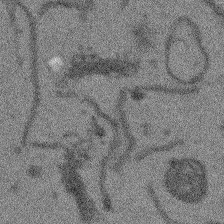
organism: Arabidopsis thaliana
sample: Root tip